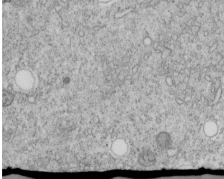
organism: C. elegans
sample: C. elegans embryo early stage